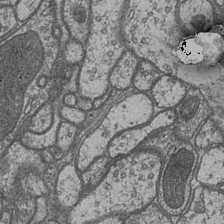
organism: Drosophila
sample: Optic medulla